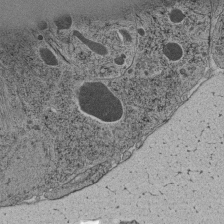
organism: C. elegans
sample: C. elegans pharynx